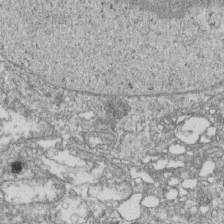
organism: Human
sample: HeLa cell HIV synapse